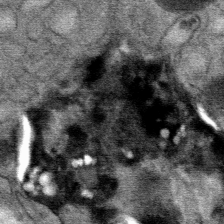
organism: Mouse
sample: Mouse Salivary gland